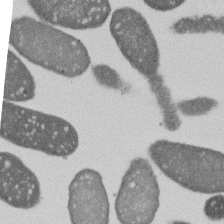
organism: E. coli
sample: Bacterial nucleoid